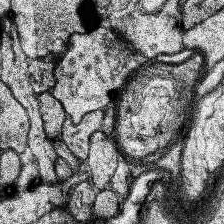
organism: Human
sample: Temporal Lobe